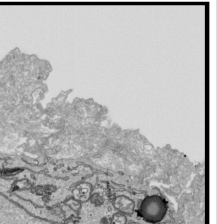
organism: Human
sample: Mitochondria in HCT116 cells